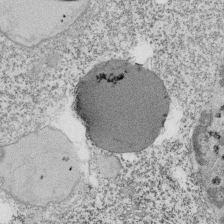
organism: Tetrahymena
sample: Cilia in tetrahymena